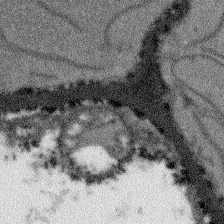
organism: Arabidopsis thaliana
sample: Root tip